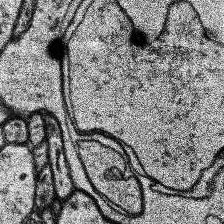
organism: Human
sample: Temporal Lobe